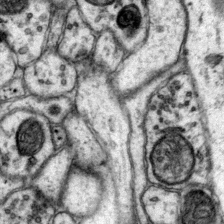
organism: Mouse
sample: Primary visual cortex